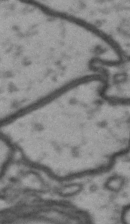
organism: Drosophila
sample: Brain